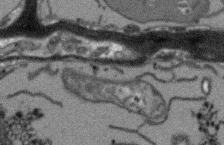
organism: Arabidopsis thaliana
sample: Root tip